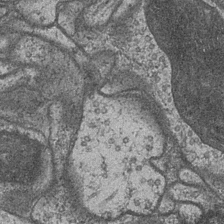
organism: Drosophila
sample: Optic medulla